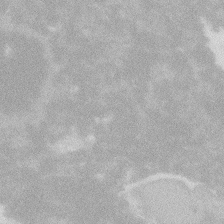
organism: Zebrafish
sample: Macrophage